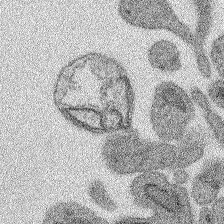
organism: Human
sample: HeLa cells